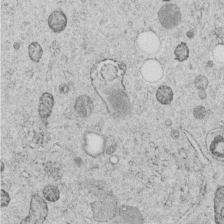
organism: C. elegans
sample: C. elegans embryo early stage